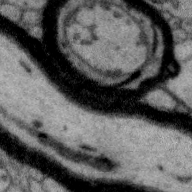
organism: Zebra finch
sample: Brain